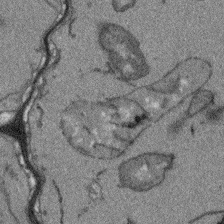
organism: Arabidopsis thaliana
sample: Root tip